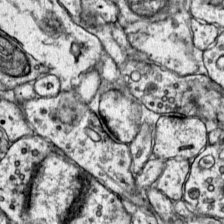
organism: Mouse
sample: Primary visual cortex